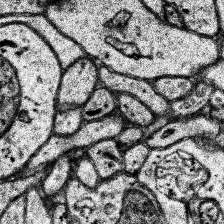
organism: Human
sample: Temporal Lobe